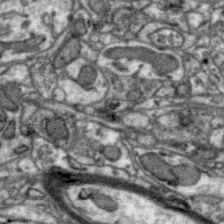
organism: Zebra finch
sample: Brain